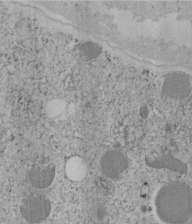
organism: C. elegans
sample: C. elegans embryo early stage